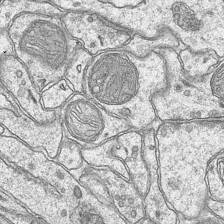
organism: Mouse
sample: CA1 Hippocampus